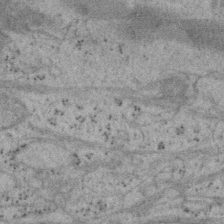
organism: Human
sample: HeLa cells